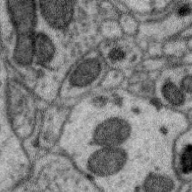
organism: Zebra finch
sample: Brain